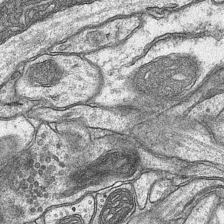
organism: Mouse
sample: CA1 Hippocampus